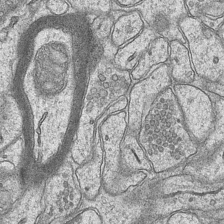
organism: Mouse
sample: CA1 Hippocampus